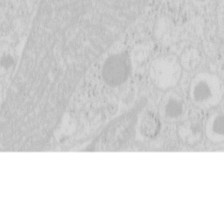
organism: Mouse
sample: Pancreas